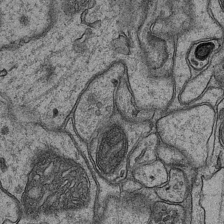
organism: Mouse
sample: CA1 Hippocampus